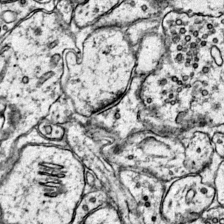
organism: Mouse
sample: Primary visual cortex